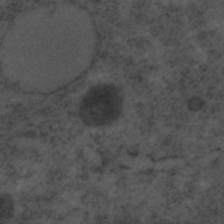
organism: C. elegans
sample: C. elegans embryo